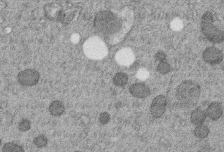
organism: C. elegans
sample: C. elegans embryo early stage